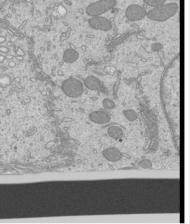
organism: Mouse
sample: Cilia; mouse epididymis